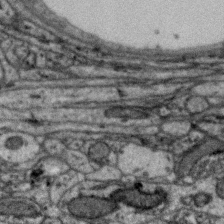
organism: Zebra finch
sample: Brain